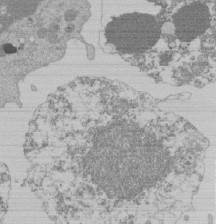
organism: Mouse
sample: Activated Pmel transgenic CD8+ T Cells